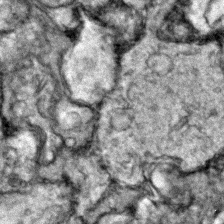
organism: Zebrafish